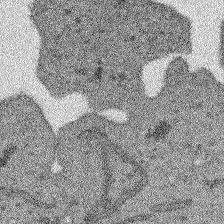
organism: Human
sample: HeLa cells